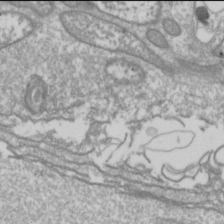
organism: Drosophila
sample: Cell division; meiosis; drosophila spermatocytes